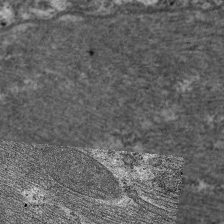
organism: C. elegans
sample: Pharynx